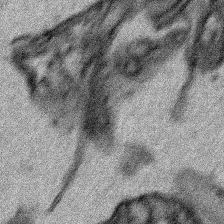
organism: Human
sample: Mitochondria in HCT116 cells